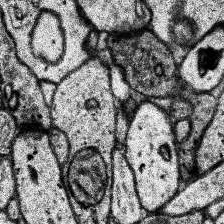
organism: Human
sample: Temporal Lobe